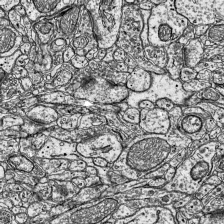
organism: Mouse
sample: Visual Cortex